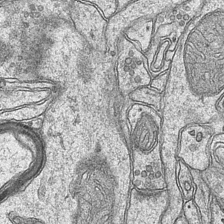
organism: Mouse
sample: CA1 Hippocampus